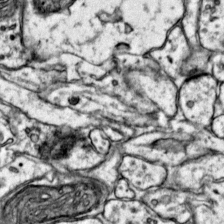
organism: Mouse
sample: Primary visual cortex